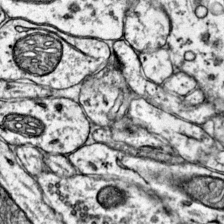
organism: Mouse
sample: Primary visual cortex